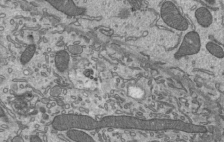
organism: Mouse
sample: Mouse epididymis efferent ductule cilia